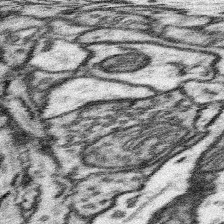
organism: Mouse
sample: Somatosensory cortex neuropil